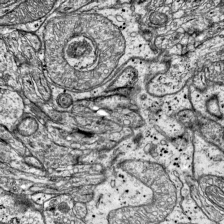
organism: Mouse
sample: Visual Cortex